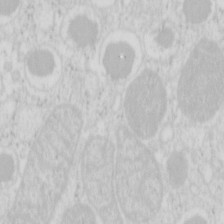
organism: Mouse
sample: Pancreas